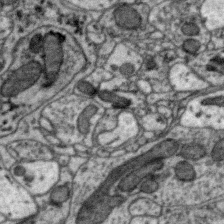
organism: Zebra finch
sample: Brain